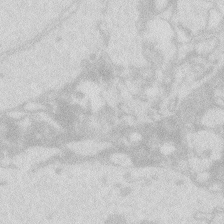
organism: Zebrafish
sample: Macrophage